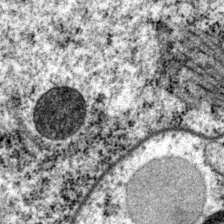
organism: P. pacificus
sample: Pharynx